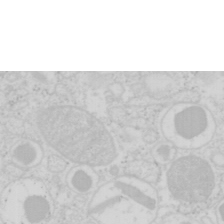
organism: Mouse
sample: Pancreas